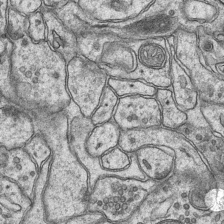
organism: Mouse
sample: CA1 Hippocampus